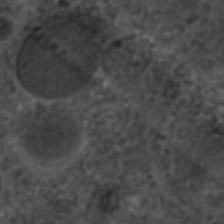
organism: C. elegans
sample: C. elegans embryo